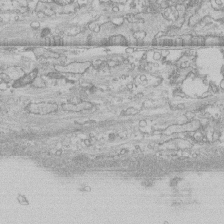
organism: Human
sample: CRL-1474